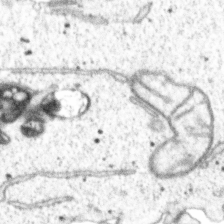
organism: Human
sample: HeLa cells